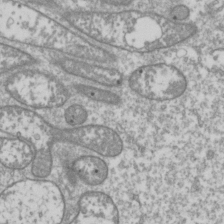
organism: Drosophila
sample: Cell division; meiosis; drosophila spermatocytes